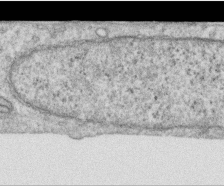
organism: Human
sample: Centriole in RPE cells